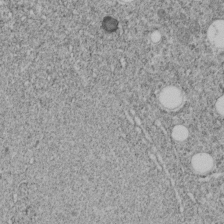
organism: C. elegans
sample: C. elegans embryo early stage